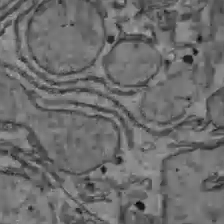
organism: C57BL Mouse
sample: Liver